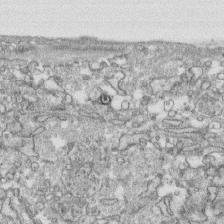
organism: Human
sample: CRL-1474